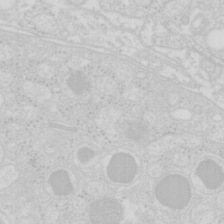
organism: Mouse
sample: Pancreas